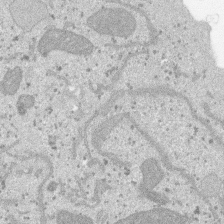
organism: Human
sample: Lung epithelial cells infected with SARS-CoV-2